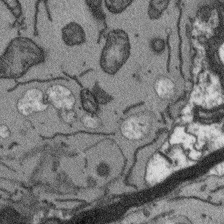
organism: Arabidopsis thaliana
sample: Root tip